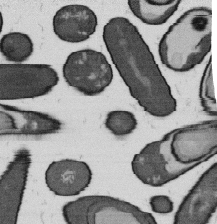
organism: B. subtilis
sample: Bacterial spore